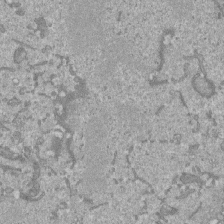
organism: Mouse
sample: ED-1 cell nuclei; centrioles